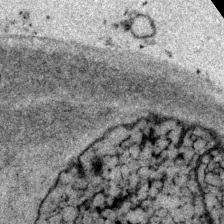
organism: P. pacificus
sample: Pharynx